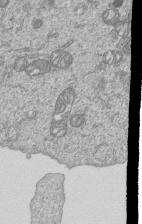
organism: Human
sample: MDA-MB-231 cells